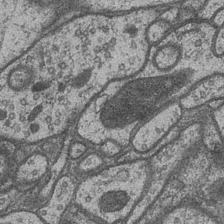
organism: Drosophila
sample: Optic medulla